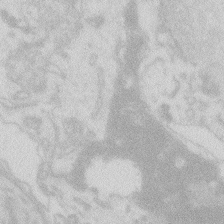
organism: Zebrafish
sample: Macrophage